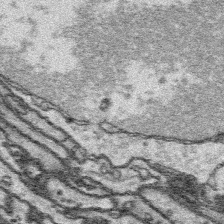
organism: Platynereis dumerilii